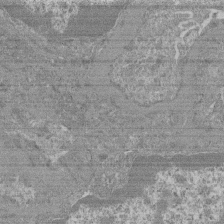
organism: Mouse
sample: Glomerulus